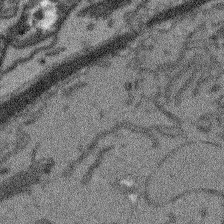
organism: Arabidopsis thaliana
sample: Root tip